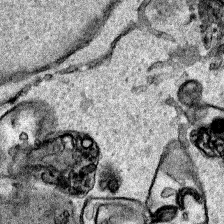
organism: Human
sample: Mitochondria in HCT116 cells